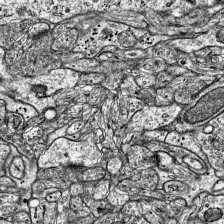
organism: Mouse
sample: Visual Cortex